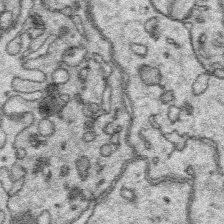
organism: Platynereis dumerilii